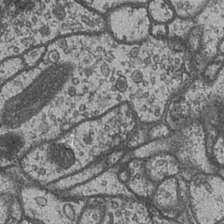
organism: Drosophila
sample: Optic medulla